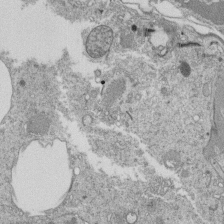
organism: Tetrahymena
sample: Cilia in tetrahymena